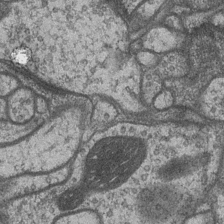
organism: Drosophila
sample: Optic medulla